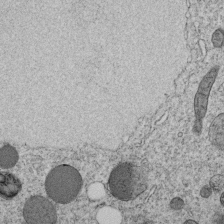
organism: C. elegans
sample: C. elegans embryo early stage